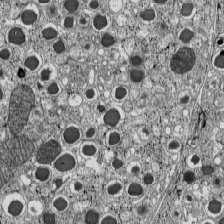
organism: C57BL Mouse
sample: Pancreatic islet